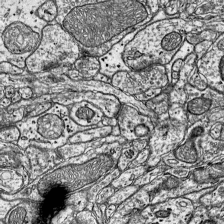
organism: Mouse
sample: Visual Cortex